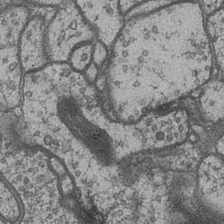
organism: Drosophila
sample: Optic medulla